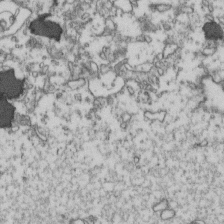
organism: Human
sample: Activated Jurkat CD4+ T cells